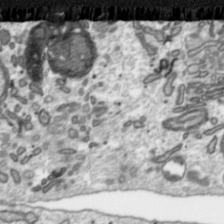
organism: Toxoplasma gondii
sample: Parasites in a vacuole inside a host cell